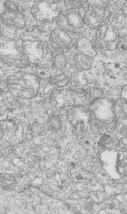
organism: Human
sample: HeLa cell HIV synapse